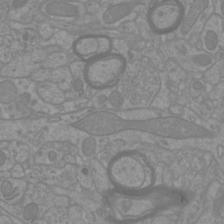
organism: Mouse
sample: Cortical neurons